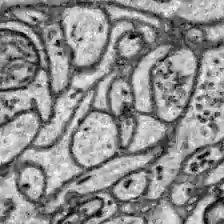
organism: Zebrafish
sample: Brain